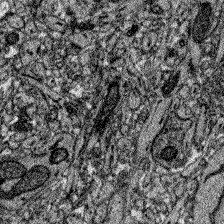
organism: Zebrafish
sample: Larval olfactory bulb